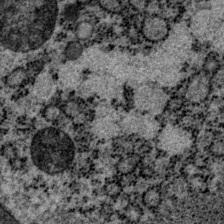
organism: P. pacificus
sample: Pharynx